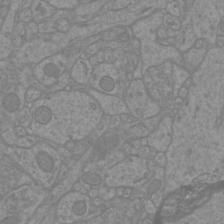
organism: Mouse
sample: Cortical neurons